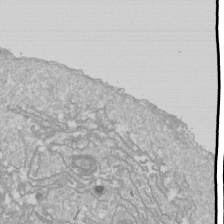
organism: Drosophila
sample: Cell division; meiosis; drosophila spermatocytes